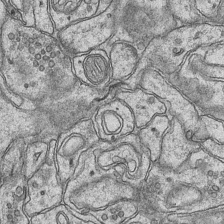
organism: Mouse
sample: CA1 Hippocampus